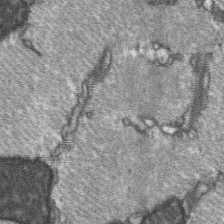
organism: C57BL Mouse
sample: Soleus